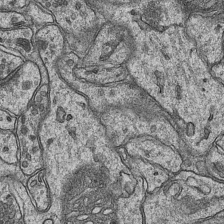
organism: Mouse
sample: CA1 Hippocampus